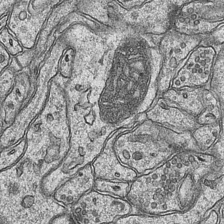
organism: Mouse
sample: CA1 Hippocampus